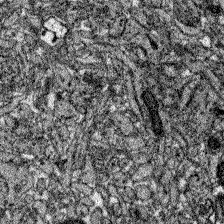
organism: Zebrafish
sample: Larval olfactory bulb